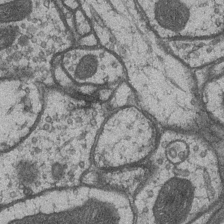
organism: Drosophila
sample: Optic medulla